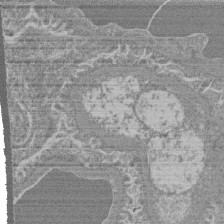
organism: Mouse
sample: Glomerulus